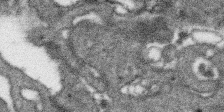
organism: Human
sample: Lung epithelial cells infected with SARS-CoV-2